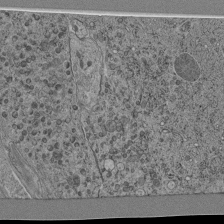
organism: C. elegans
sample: C. elegans pharynx